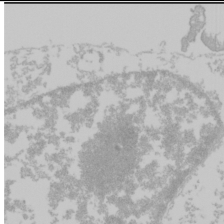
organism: Mouse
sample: Cancer cell death in ED-1 cells